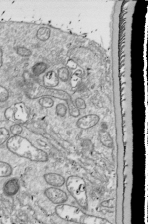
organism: Drosophila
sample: Cell division; meiosis; drosophila spermatocytes